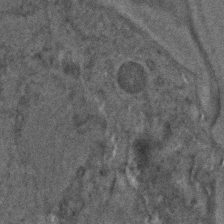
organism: C. elegans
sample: C. elegans embryo